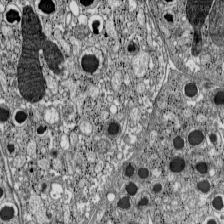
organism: C57BL Mouse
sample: Pancreatic islet